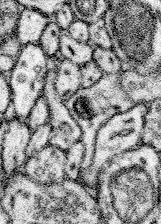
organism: Mouse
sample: Somatosensory cortex neuropil